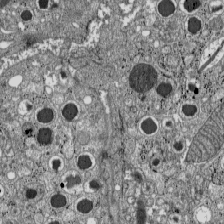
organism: C57BL Mouse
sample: Pancreatic islet